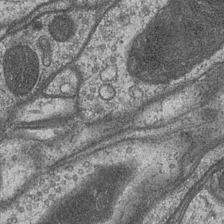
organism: Drosophila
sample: Optic medulla